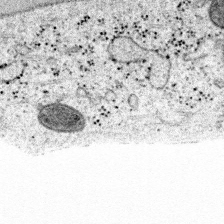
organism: Human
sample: HeLa cells